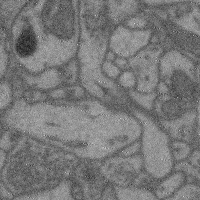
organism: Mouse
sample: Cerebral cortex